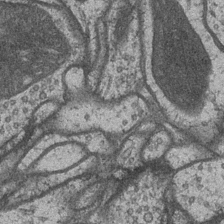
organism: Drosophila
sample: Optic medulla